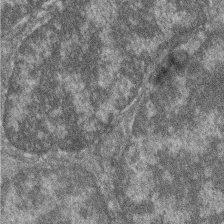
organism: Zebrafish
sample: Cilia; retinal pigment epithelium